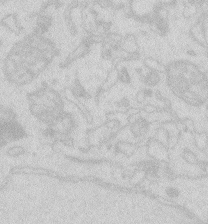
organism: Zebrafish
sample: Macrophage